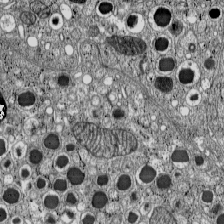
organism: C57BL Mouse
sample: Pancreatic islet